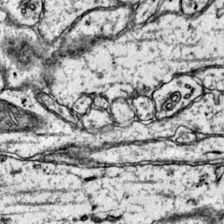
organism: Mouse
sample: Primary visual cortex